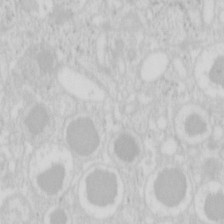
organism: Mouse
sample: Pancreas